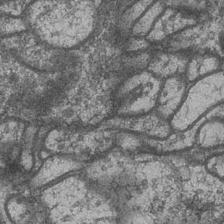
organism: Drosophila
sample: Optic medulla